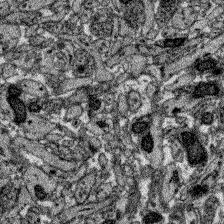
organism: Zebrafish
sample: Larval olfactory bulb